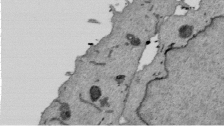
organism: Mouse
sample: ED-1 cell nuclei; centrioles